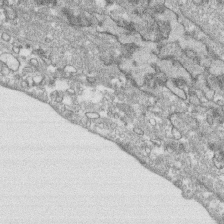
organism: Human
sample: CRL-1474